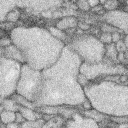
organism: Rabbit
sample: Retina